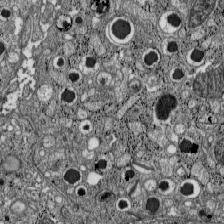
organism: C57BL Mouse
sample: Pancreatic islet